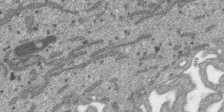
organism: Human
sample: Lung epithelial cells infected with SARS-CoV-2